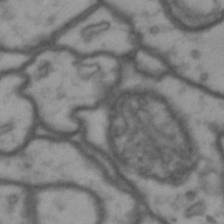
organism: Drosophila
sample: Brain